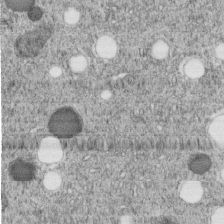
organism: C. elegans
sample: C. elegans embryo early stage